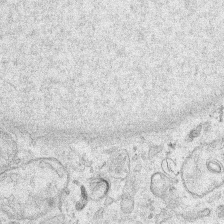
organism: Human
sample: Mitochondria in HCT116 cells